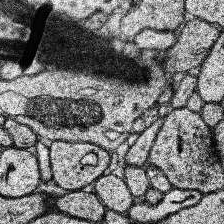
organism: Human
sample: Temporal Lobe